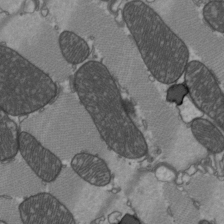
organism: C57BL Mouse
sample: Heart